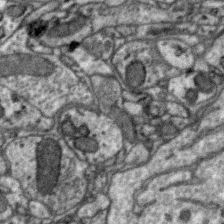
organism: Zebra finch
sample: Brain